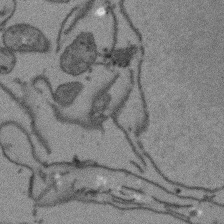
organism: Arabidopsis thaliana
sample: Root tip